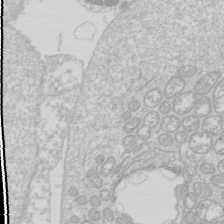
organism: Drosophila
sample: Cell division; meiosis; drosophila spermatocytes